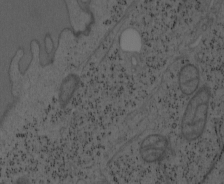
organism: Mouse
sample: OT-I killer T cells with ID8 ovarian cancer cells